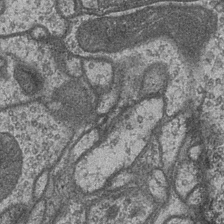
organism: Drosophila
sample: Optic medulla